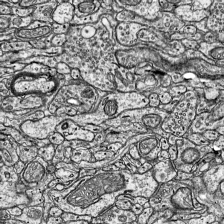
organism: Mouse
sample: Visual Cortex